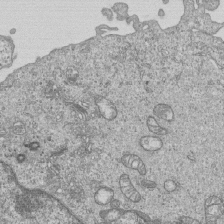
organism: Human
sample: MDA-MB-231 cells